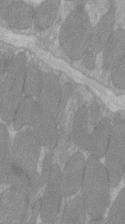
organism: C57BL Mouse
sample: Tibialis anterior muscle cell